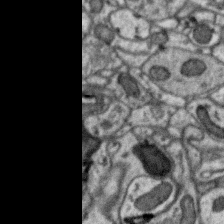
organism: Zebra finch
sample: Brain